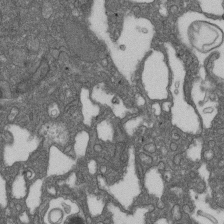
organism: Drosophila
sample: Nephrocyte